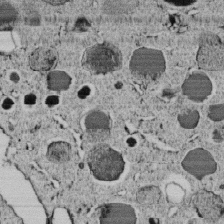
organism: C. elegans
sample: C. elegans embryo early stage